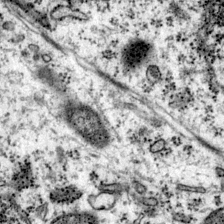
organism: Mouse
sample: Primary visual cortex